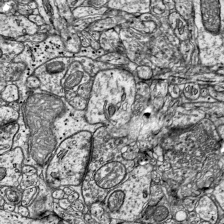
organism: Mouse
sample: Visual Cortex